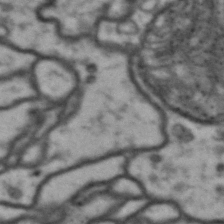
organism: Drosophila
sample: Brain